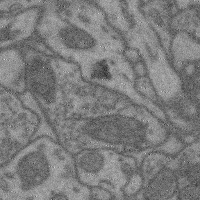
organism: Mouse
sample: Cerebral cortex